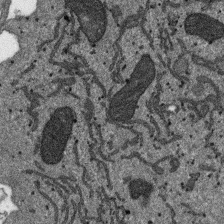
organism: Human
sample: Lung epithelial cells infected with SARS-CoV-2